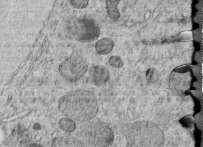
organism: C. elegans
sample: C. elegans embryo early stage